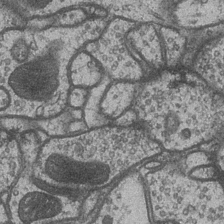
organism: Drosophila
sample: Optic medulla